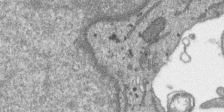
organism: Human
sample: Lung epithelial cells infected with SARS-CoV-2